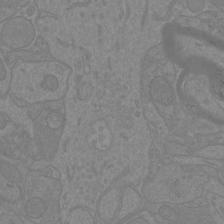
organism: Mouse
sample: Cortical neurons